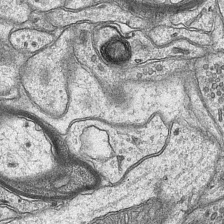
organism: Mouse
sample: CA1 Hippocampus